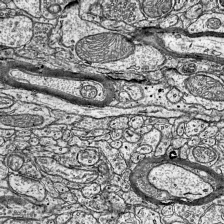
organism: Mouse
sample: Visual Cortex